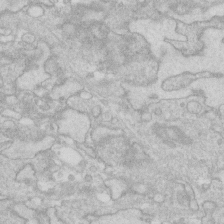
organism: Human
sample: Fibroblast cells